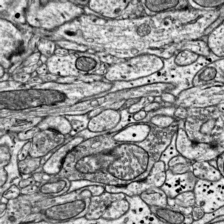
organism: Mouse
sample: Visual Cortex